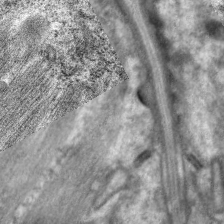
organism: C. elegans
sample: Pharynx